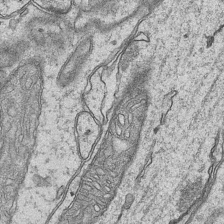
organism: Mouse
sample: CA1 Hippocampus